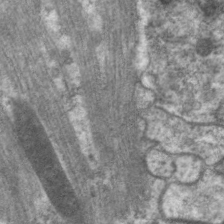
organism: C. elegans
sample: Pharynx